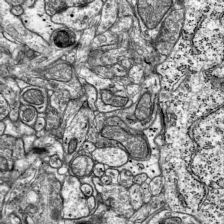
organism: Mouse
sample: Visual Cortex